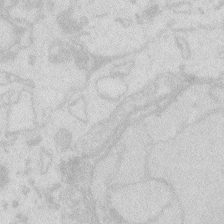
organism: Zebrafish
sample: Macrophage